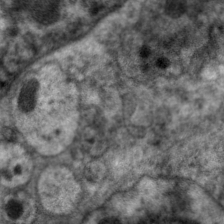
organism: C. elegans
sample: Pharynx